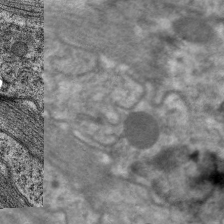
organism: C. elegans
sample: Pharynx